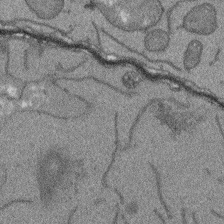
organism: Arabidopsis thaliana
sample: Root tip